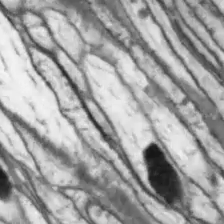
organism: Drosophila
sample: Optic lobe